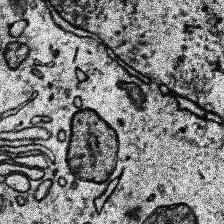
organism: Human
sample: Temporal Lobe